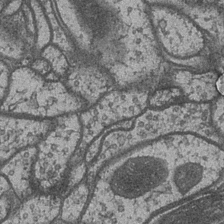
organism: Drosophila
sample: Optic medulla